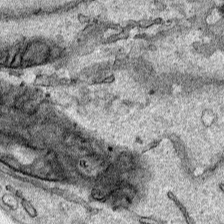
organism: Human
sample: Mitochondria in HCT116 cells